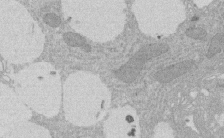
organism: Rat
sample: Salivary granule